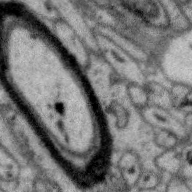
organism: Zebra finch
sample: Brain